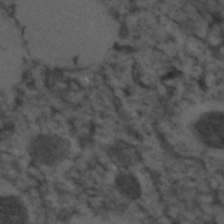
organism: C. elegans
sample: C. elegans embryo